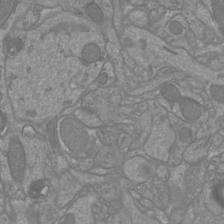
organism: Mouse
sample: Cortical neurons